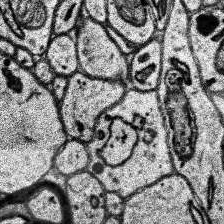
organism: Human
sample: Temporal Lobe